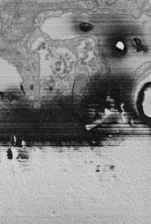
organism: Human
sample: Retinal organoid Rod and Cone cells